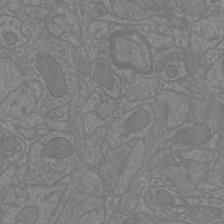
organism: Mouse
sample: Cortical neurons